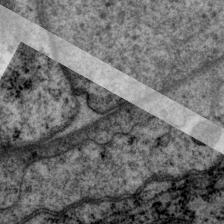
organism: P. pacificus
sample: Pharynx